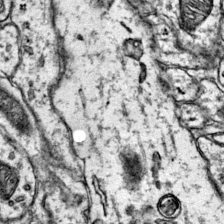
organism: Mouse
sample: Primary visual cortex